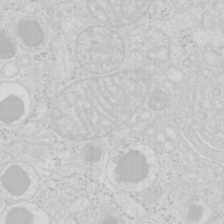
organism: Mouse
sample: Pancreas